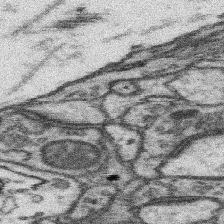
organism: Mouse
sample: Somatosensory cortex neuropil